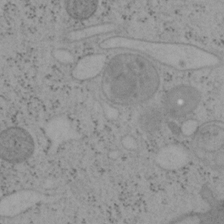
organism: Mouse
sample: OT-I killer T cells with ID8 ovarian cancer cells